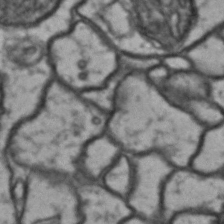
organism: Drosophila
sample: Brain